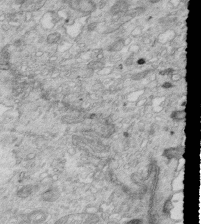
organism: Mouse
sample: Multiciliated cells